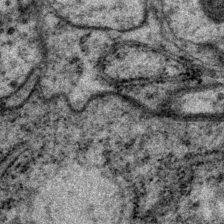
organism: P. pacificus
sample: Pharynx